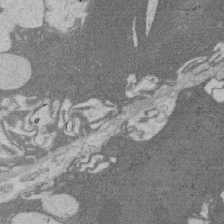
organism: Rat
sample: Salivary granule